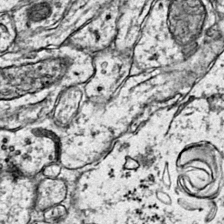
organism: Mouse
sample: Primary visual cortex